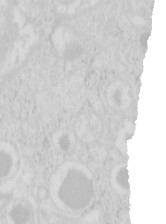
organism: Mouse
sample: Pancreas